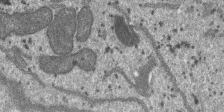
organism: Human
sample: Lung epithelial cells infected with SARS-CoV-2